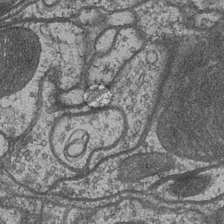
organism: Drosophila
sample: Optic medulla